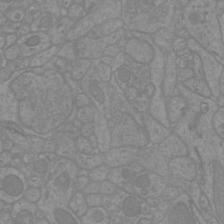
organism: Mouse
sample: Cortical neurons